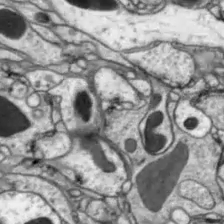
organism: Drosophila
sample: Optic lobe